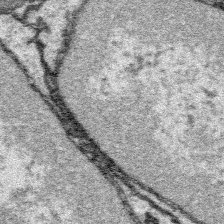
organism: Platynereis dumerilii